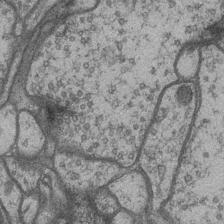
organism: Drosophila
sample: Optic medulla